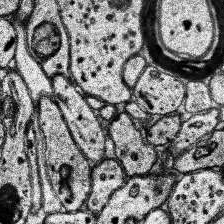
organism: Human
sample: Temporal Lobe